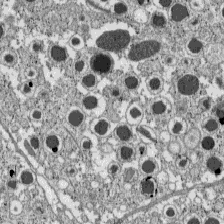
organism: C57BL Mouse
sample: Pancreatic islet